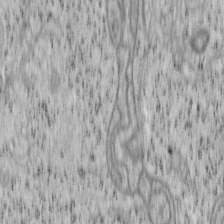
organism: Human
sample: HeLa cells